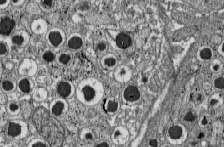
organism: C57BL Mouse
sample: Pancreatic islet